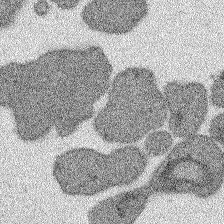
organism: Human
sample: HeLa cells